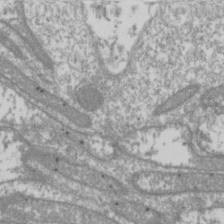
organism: Drosophila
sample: Cell division; meiosis; drosophila spermatocytes